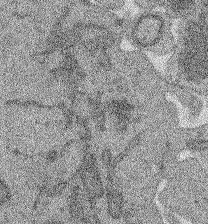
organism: Human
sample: HeLa cells